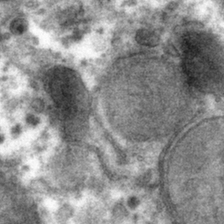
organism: Mouse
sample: Mouse hepatocytes